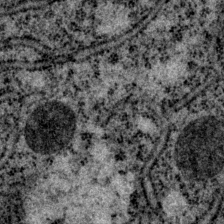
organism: P. pacificus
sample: Pharynx